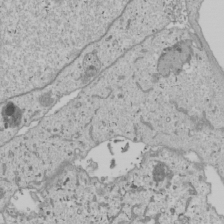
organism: Human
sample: Mitochondria in U2OS cells